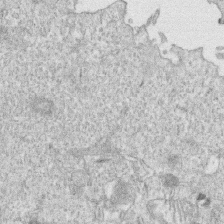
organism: Human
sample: HeLa cell HIV synapse